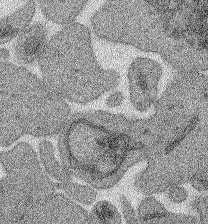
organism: Human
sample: HeLa cells